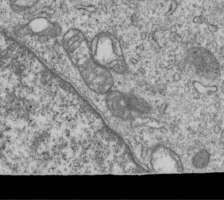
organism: Human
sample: MDA-MB-231 cells